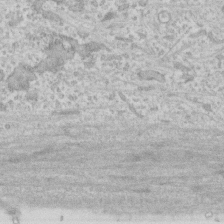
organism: Human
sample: CRL-1474